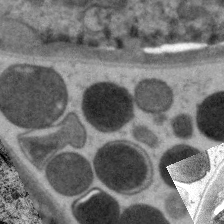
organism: C. elegans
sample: Pharynx